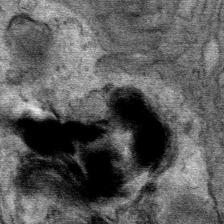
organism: Mouse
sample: Mouse Salivary gland